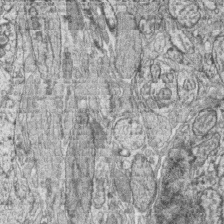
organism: Zebrafish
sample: synaptic ribbons in rod cells and cone cells